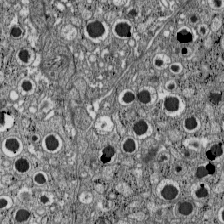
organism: C57BL Mouse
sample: Pancreatic islet